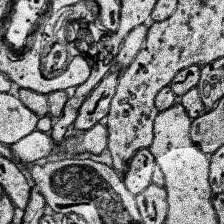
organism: Human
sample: Temporal Lobe